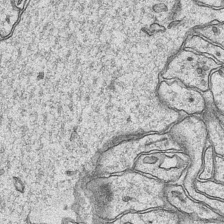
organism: Mouse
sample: CA1 Hippocampus